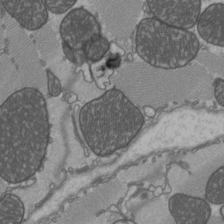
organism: C57BL Mouse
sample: Heart